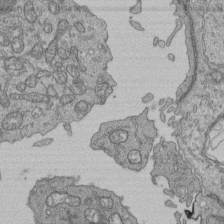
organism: Human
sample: Retinal organoid Rod and Cone cells